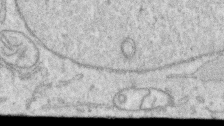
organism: Human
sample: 1205lu cells